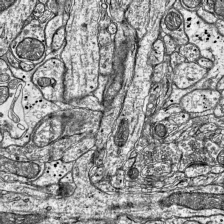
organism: Mouse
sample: Visual Cortex